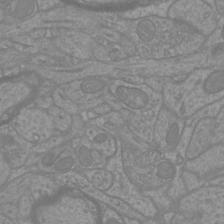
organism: Mouse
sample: Cortical neurons